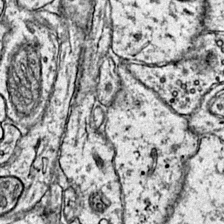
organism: Mouse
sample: Primary visual cortex